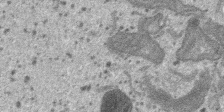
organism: Human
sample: Lung epithelial cells infected with SARS-CoV-2